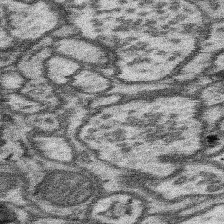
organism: Mouse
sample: Somatosensory cortex neuropil